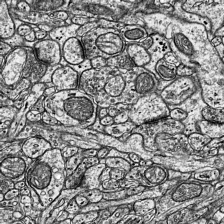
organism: Mouse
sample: Visual Cortex